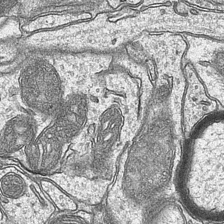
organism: Mouse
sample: CA1 Hippocampus